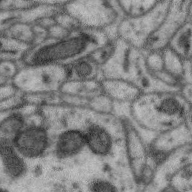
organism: Zebra finch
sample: Brain